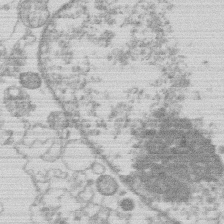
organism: Human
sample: Macrophage cells